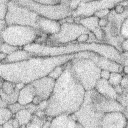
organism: Rabbit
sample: Retina